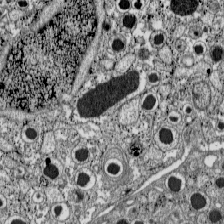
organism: C57BL Mouse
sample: Pancreatic islet